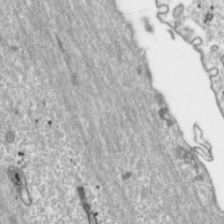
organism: Toxoplasma gondii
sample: Parasites in a vacuole inside a host cell